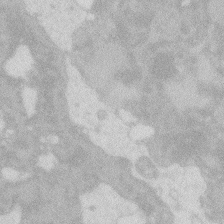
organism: Zebrafish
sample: Macrophage